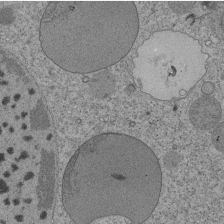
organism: Tetrahymena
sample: Cilia in tetrahymena